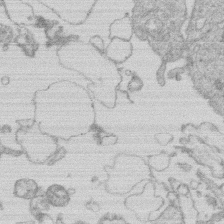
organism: Human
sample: Macrophage cells